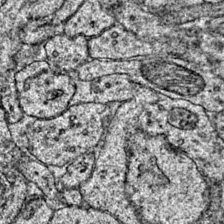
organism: Mouse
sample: Primary visual cortex